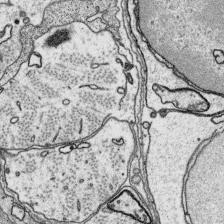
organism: Platynereis dumerilii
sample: Parapodia